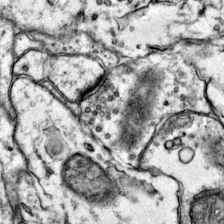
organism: Mouse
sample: Primary visual cortex